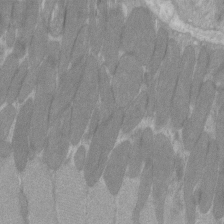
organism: C57BL Mouse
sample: Tibialis anterior muscle cell